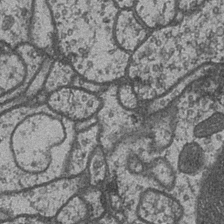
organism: Drosophila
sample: Optic medulla